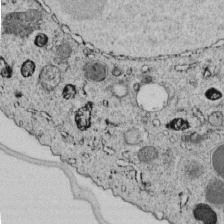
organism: C. elegans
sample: C. elegans embryo early stage